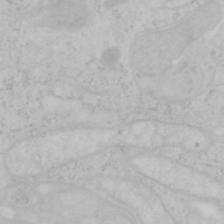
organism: Mouse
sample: OT-I killer T cells with ID8 ovarian cancer cells